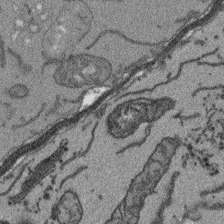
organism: Arabidopsis thaliana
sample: Root tip